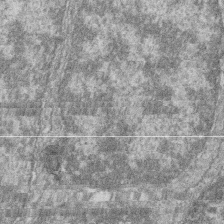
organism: Zebrafish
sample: Cilia; retinal pigment epithelium